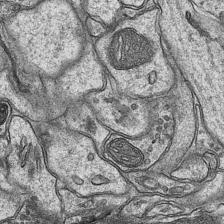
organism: Mouse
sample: CA1 Hippocampus